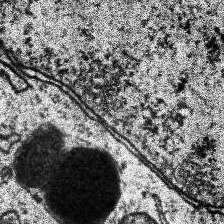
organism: Human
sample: Temporal Lobe